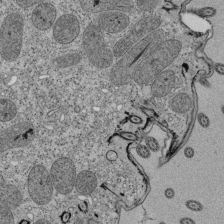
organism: Tetrahymena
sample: Cilia in tetrahymena